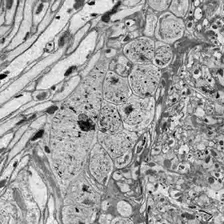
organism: Drosophila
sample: Optic lobe